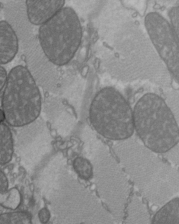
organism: C57BL Mouse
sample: Heart